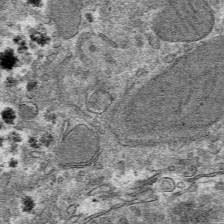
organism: Mouse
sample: Mouse hepatocytes